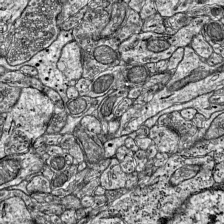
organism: Mouse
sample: Visual Cortex